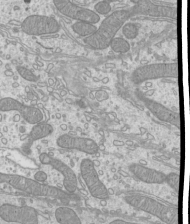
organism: Mouse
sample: Cilia; mouse epididymis